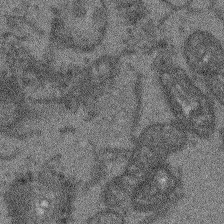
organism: Arabidopsis thaliana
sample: Root tip